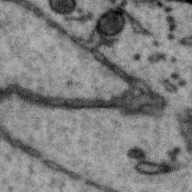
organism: Zebra finch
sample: Brain